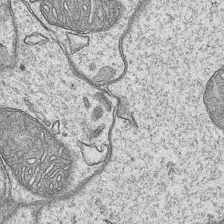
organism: Mouse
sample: CA1 Hippocampus